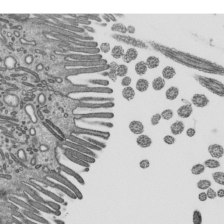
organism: Mouse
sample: Mouse epididymis efferent ductule cilia